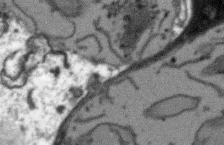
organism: Arabidopsis thaliana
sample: Root tip